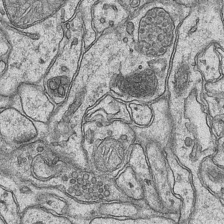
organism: Mouse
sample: CA1 Hippocampus